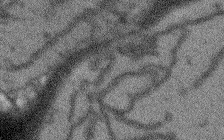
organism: Arabidopsis thaliana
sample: Root tip